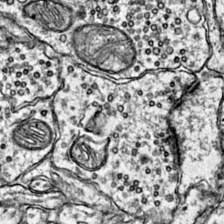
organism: Mouse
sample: Primary visual cortex